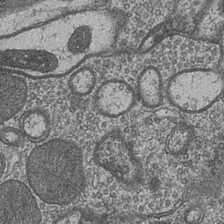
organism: Drosophila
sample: Optic medulla